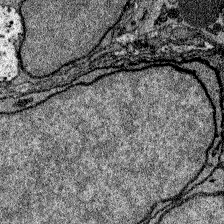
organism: Zebrafish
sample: Larval olfactory bulb